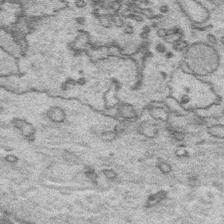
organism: Platynereis dumerilii